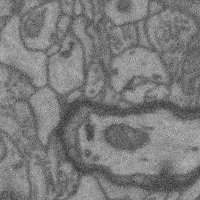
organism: Mouse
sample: Cerebral cortex